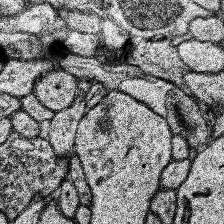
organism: Human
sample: Temporal Lobe